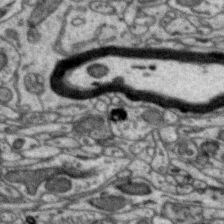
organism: Zebra finch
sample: Brain